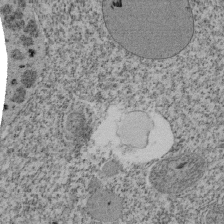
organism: Tetrahymena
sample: Cilia in tetrahymena